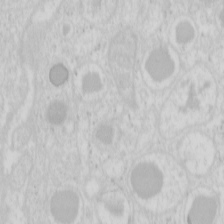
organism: Mouse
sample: Pancreas